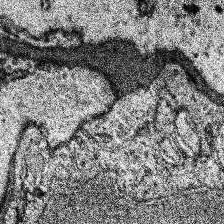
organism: Human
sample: Temporal Lobe